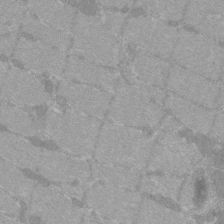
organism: C57BL Mouse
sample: Tibialis anterior muscle cell